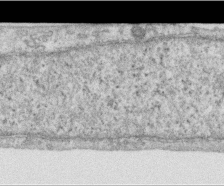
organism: Human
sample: Centriole in RPE cells